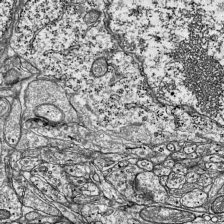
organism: Mouse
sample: Visual Cortex